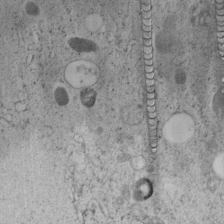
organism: C. elegans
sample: C. elegans embryo early stage